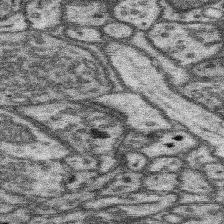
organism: Mouse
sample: Somatosensory cortex neuropil